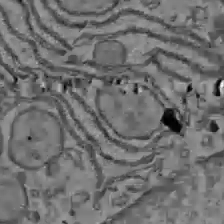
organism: C57BL Mouse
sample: Liver